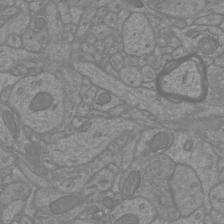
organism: Mouse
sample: Cortical neurons